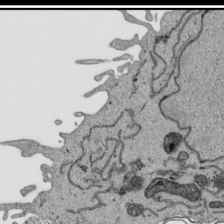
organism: Human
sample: Mitochondria in HCT116 cells